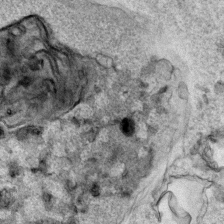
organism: Human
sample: Mitochondria in HCT116 cells